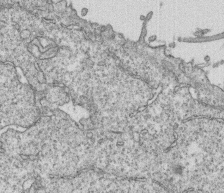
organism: Human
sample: HeLa cell HIV synapse